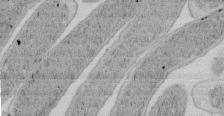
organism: E. coli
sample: Bacterial nucleoid